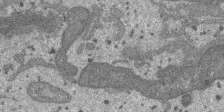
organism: Human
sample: Lung epithelial cells infected with SARS-CoV-2